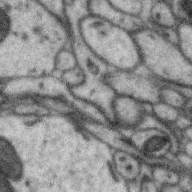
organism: Zebra finch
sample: Brain